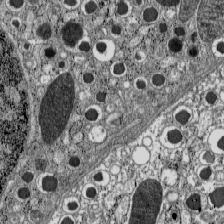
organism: C57BL Mouse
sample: Pancreatic islet